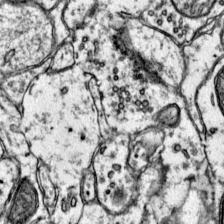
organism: Mouse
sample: Primary visual cortex